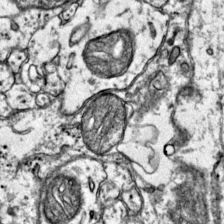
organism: Mouse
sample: Primary visual cortex